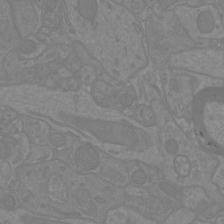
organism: Mouse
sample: Cortical neurons